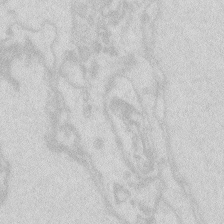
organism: Zebrafish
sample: Macrophage